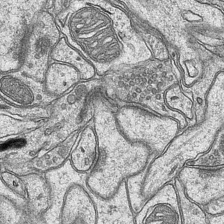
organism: Mouse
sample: CA1 Hippocampus